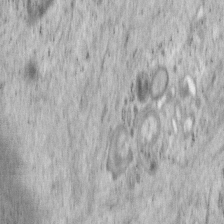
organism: Human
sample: HeLa cells